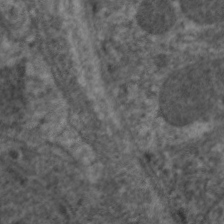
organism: C. elegans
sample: Pharynx